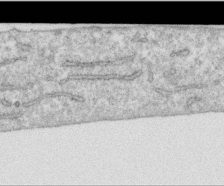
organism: Human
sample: Centriole in RPE cells